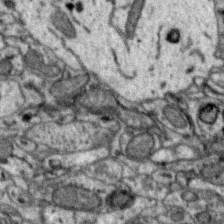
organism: Zebra finch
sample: Brain